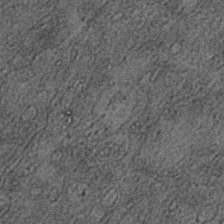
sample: Trachea